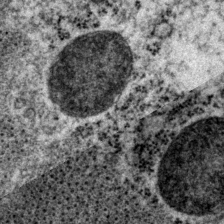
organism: P. pacificus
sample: Pharynx